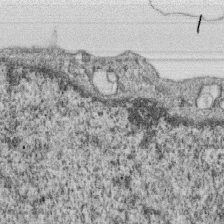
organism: African green monkey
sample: Vero E6 cells infected with SARS-CoV-2